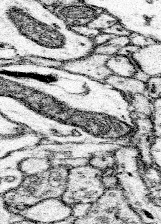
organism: Mouse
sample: Somatosensory cortex neuropil